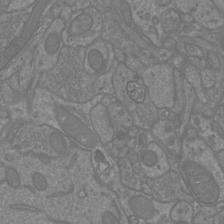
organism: Mouse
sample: Cortical neurons